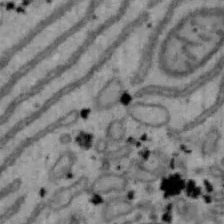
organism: Mouse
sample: Liver